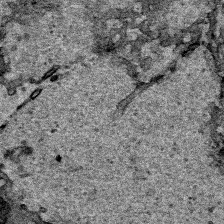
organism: Human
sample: Mitochondria in HCT116 cells